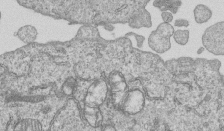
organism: Human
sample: MDA-MB-231 cells